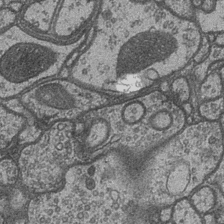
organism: Drosophila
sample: Optic medulla